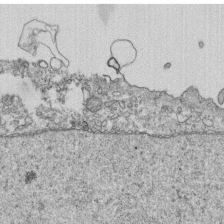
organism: Human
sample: HeLa cell HIV synapse